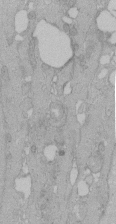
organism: Human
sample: Melanocyte Keratinocyte synapse skin construct